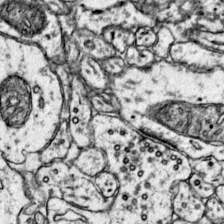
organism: Mouse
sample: Primary visual cortex